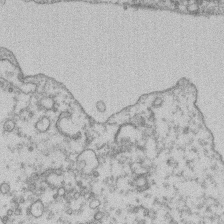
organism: Mouse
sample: T cell stromal cell synapse